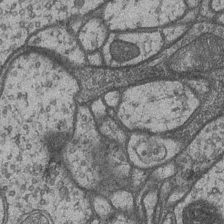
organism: Drosophila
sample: Optic medulla